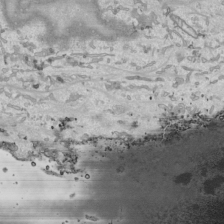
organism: Human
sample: Mitochondria in HCT116 cells